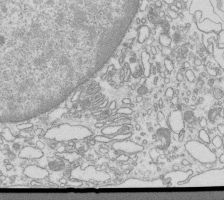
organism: Mouse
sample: Macrophages